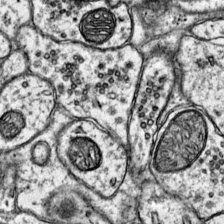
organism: Mouse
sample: Primary visual cortex